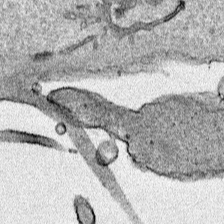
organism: Human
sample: Mitochondria in HCT116 cells